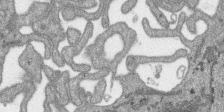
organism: Human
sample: Lung epithelial cells infected with SARS-CoV-2